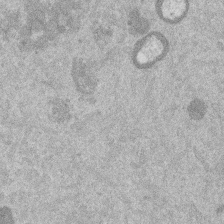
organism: Mouse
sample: Dividing mouse embryo 1 cell stage